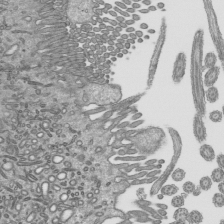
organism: Mouse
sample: Mouse epididymis efferent ductule cilia